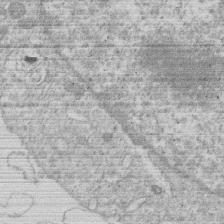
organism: Human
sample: Macrophage cells